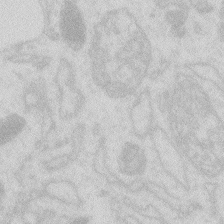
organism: Zebrafish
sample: Macrophage